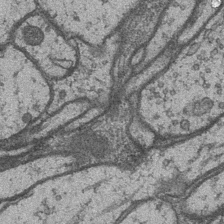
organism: Drosophila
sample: Optic medulla